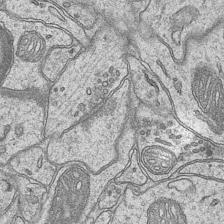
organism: Mouse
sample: CA1 Hippocampus